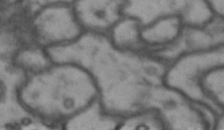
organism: Drosophila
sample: Brain